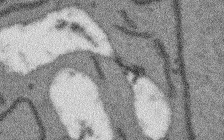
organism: Arabidopsis thaliana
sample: Root tip